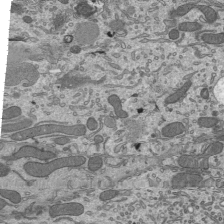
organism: Mouse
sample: Mouse epididymis efferent ductule cilia